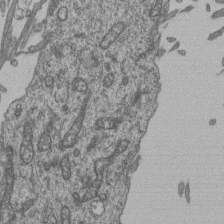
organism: Human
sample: Retinal organoid Rod and Cone cells